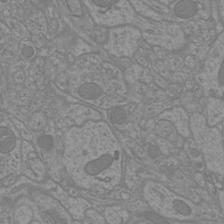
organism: Mouse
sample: Cortical neurons